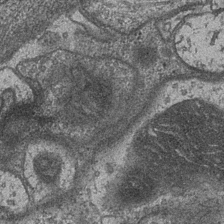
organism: Drosophila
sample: Optic medulla